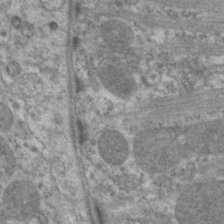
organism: C. elegans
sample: Pharynx